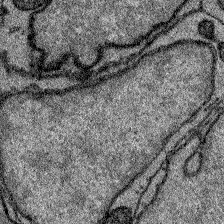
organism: Zebrafish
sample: Larval olfactory bulb